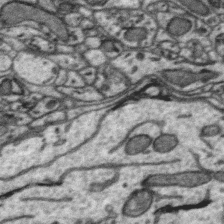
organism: Zebra finch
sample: Brain